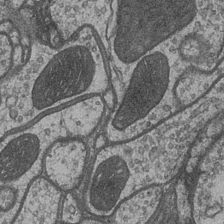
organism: Drosophila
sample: Optic medulla